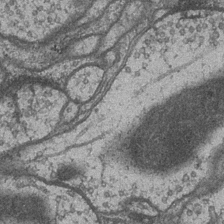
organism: Drosophila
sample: Optic medulla